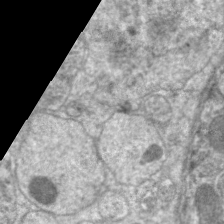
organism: C. elegans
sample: Pharynx